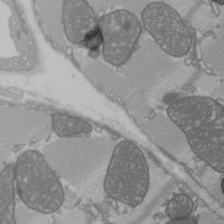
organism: C57BL Mouse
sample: Heart